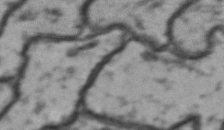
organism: Drosophila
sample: Brain